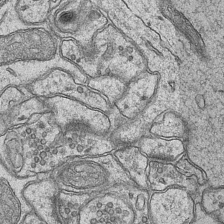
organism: Mouse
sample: CA1 Hippocampus